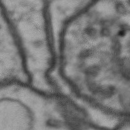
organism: Drosophila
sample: Brain